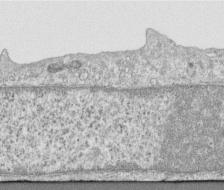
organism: Human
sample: Centriole in RPE cells